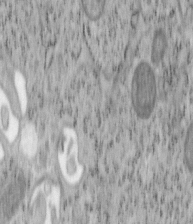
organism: Human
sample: HeLa cells